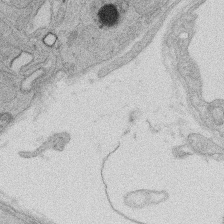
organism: Rat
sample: Salivary granule